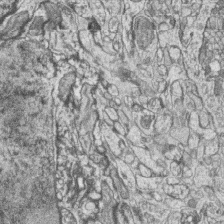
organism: Zebrafish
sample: synaptic ribbons in rod cells and cone cells